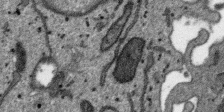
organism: Human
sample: Lung epithelial cells, uninfected (mock) control